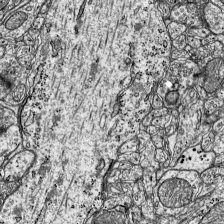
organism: Mouse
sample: Visual Cortex